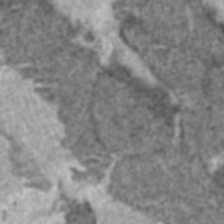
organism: C57BL Mouse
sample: Heart